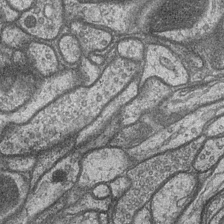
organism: Drosophila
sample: Optic medulla